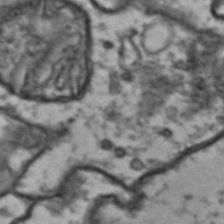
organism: Drosophila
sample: Brain